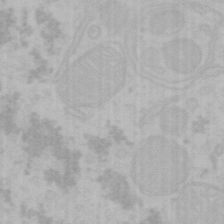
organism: Mouse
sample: Choroid plexus